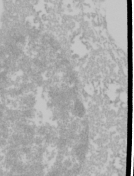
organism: Mouse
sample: Cancer cell death in ED-1 cells